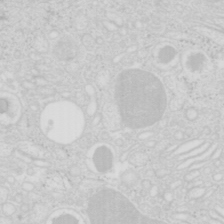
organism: Mouse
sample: Pancreas